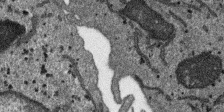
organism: Human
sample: Lung epithelial cells infected with SARS-CoV-2